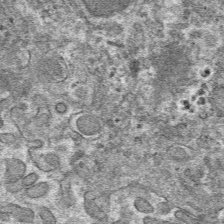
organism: Mouse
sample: Mouse hepatocytes